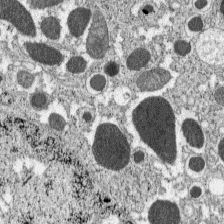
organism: C57BL Mouse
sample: Pancreatic islet